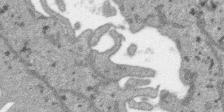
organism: Human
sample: Lung epithelial cells infected with SARS-CoV-2